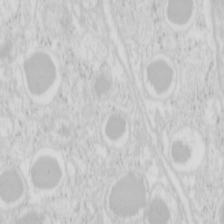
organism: Mouse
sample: Pancreas